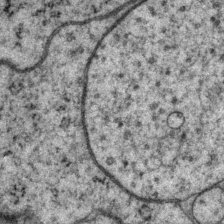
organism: P. pacificus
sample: Pharynx